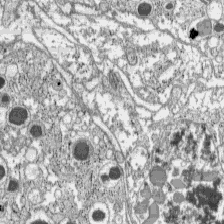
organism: C57BL Mouse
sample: Pancreatic islet